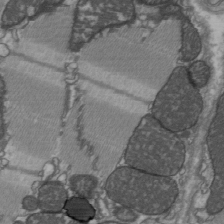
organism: C57BL Mouse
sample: Heart